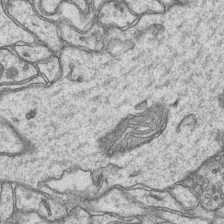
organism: Mouse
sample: CA1 Hippocampus